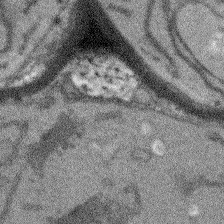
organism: Arabidopsis thaliana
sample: Root tip